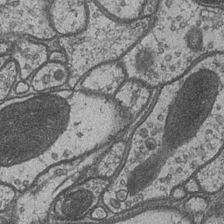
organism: Drosophila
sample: Optic medulla